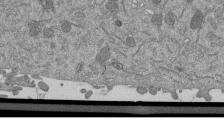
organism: Mouse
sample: ED-1 cell nuclei; centrioles